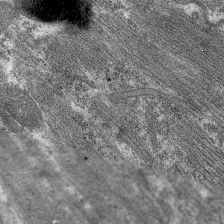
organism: C. elegans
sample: Pharynx